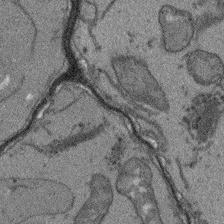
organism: Arabidopsis thaliana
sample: Root tip